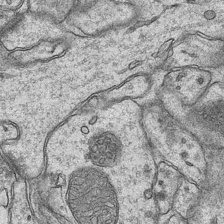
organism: Mouse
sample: CA1 Hippocampus